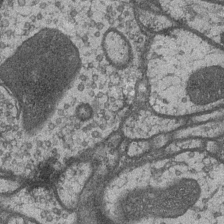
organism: Drosophila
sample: Optic medulla